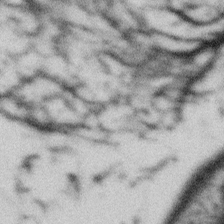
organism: Gemmata obscuriglobus